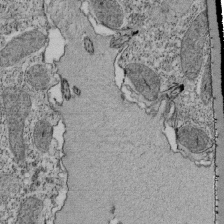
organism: Tetrahymena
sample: Cilia in tetrahymena